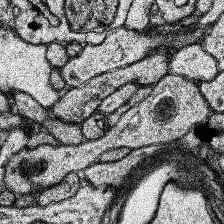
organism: Human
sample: Temporal Lobe